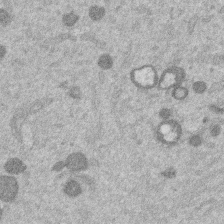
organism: Mouse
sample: Dividing mouse embryo 1 cell stage